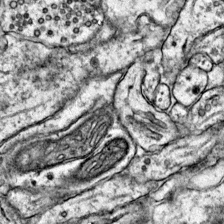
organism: Mouse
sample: Primary visual cortex